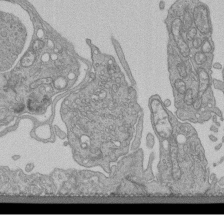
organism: Human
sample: Retinal organoid Rod and Cone cells